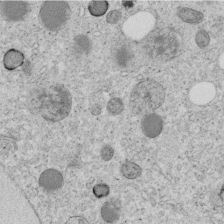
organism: C. elegans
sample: C. elegans embryo early stage